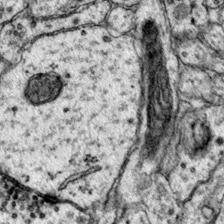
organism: Mouse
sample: Primary visual cortex